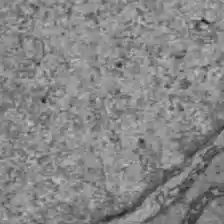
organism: C57BL Mouse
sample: Liver